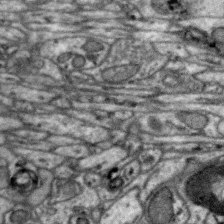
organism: Zebra finch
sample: Brain